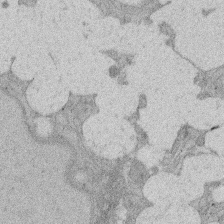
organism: Rat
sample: Salivary granule